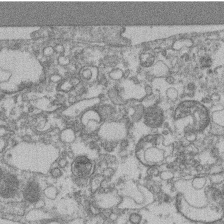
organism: Mouse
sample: T cell stromal cell synapse